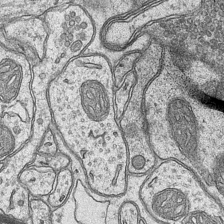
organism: Mouse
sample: CA1 Hippocampus